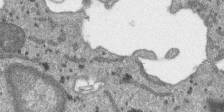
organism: Human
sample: Lung epithelial cells infected with SARS-CoV-2